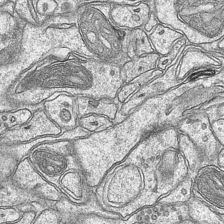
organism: Mouse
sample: CA1 Hippocampus